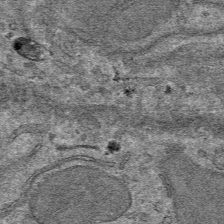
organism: Mouse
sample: Mouse hepatocytes